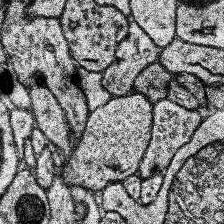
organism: Human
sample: Temporal Lobe